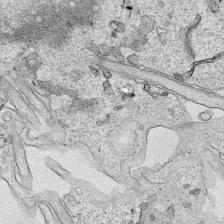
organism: Human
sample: Mitochondria in HCT116 cells